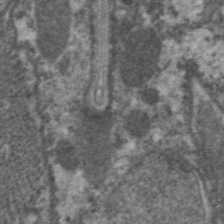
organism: C. elegans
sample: Pharynx